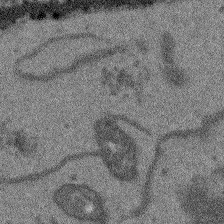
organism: Arabidopsis thaliana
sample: Root tip